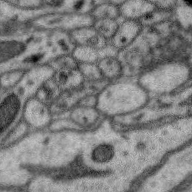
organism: Zebra finch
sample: Brain